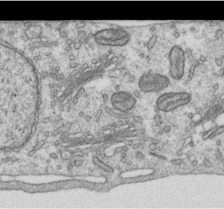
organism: Human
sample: Centriole in RPE cells